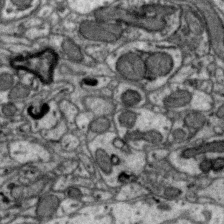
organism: Zebra finch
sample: Brain